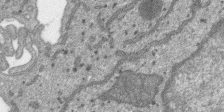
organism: Human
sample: Lung epithelial cells infected with SARS-CoV-2